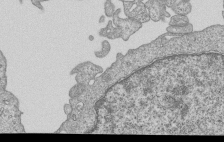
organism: Human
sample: MDA-MB-231 cells